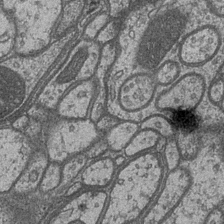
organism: Drosophila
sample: Optic medulla